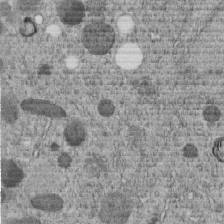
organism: C. elegans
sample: C. elegans embryo early stage